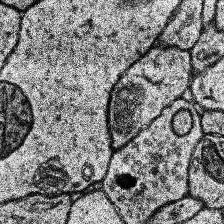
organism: Human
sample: Temporal Lobe